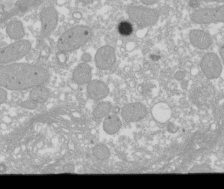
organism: Xenopus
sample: Cilia; centrioles in frog embryo cells